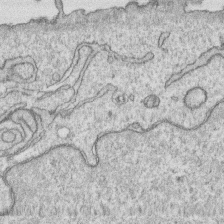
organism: Human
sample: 1205lu cells